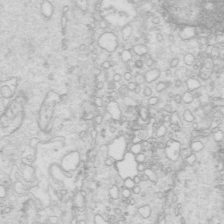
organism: Mouse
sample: Multiciliated cells